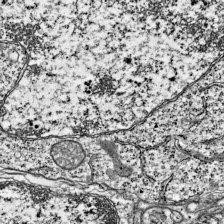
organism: Mouse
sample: Visual Cortex